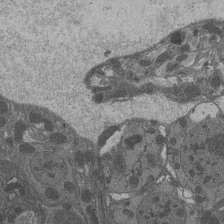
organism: Drosophila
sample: Antenna